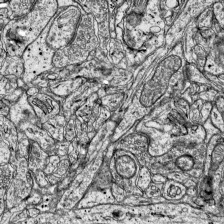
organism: Mouse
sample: Visual Cortex